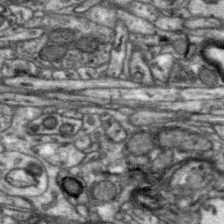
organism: Zebra finch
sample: Brain